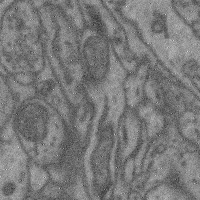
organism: Mouse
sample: Cerebral cortex